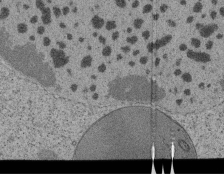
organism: Tetrahymena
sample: Cilia in tetrahymena